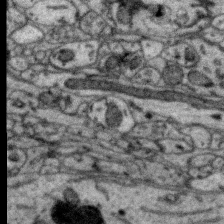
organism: Zebra finch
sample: Brain